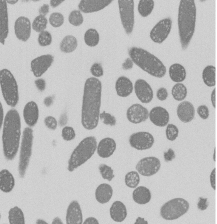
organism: E. coli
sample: Bacterial nucleoid